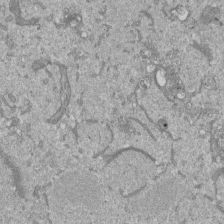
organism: Mouse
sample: ED-1 cell nuclei; centrioles